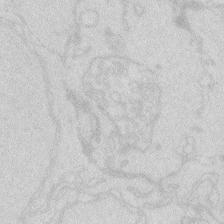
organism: Zebrafish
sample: Macrophage